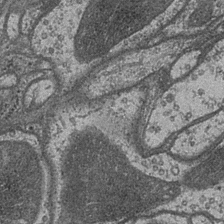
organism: Drosophila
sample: Optic medulla